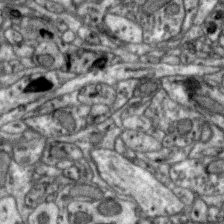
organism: Zebra finch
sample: Brain